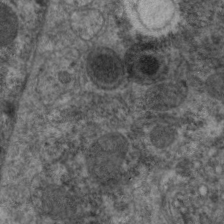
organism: C. elegans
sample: Pharynx